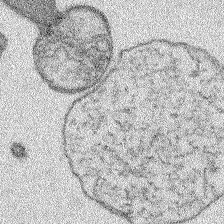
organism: Human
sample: HeLa cells